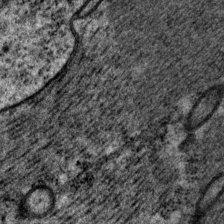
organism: P. pacificus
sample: Pharynx